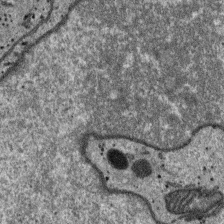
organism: Human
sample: Lung epithelial cells, uninfected (mock) control